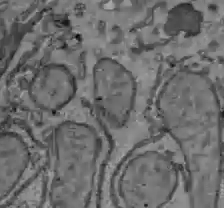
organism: C57BL Mouse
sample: Liver